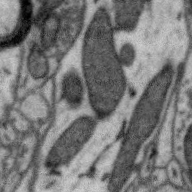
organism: Zebra finch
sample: Brain